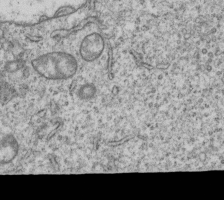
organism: Human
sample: MDA-MB-231 cells